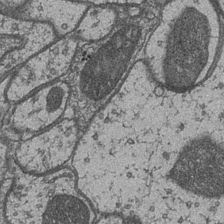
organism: Drosophila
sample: Optic medulla